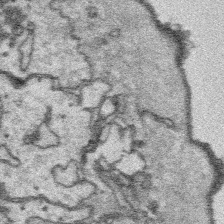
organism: Platynereis dumerilii